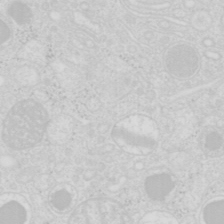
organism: Mouse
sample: Pancreas